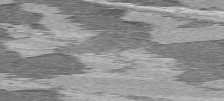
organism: C57BL Mouse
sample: Heart